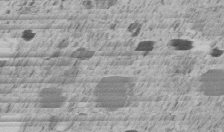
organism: C. elegans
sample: C. elegans embryo early stage